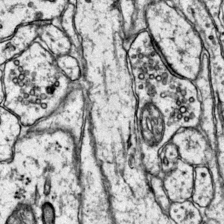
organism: Mouse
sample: Primary visual cortex